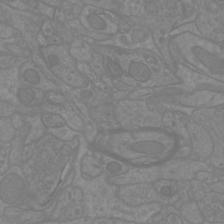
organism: Mouse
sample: Cortical neurons